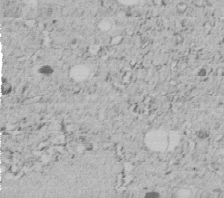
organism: C. elegans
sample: C. elegans embryo early stage